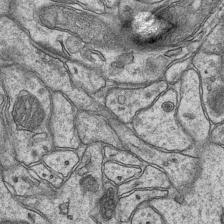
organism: Mouse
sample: CA1 Hippocampus